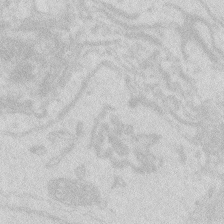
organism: Zebrafish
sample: Macrophage